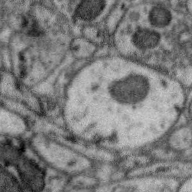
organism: Zebra finch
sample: Brain